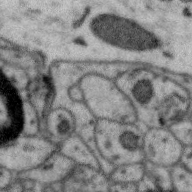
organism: Zebra finch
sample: Brain